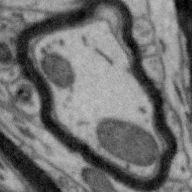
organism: Zebra finch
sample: Brain